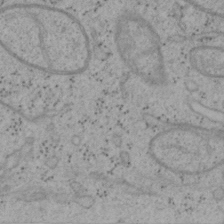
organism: Human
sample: HeLa cells